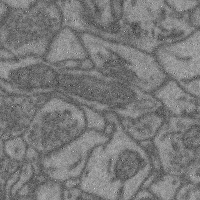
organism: Mouse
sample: Cerebral cortex